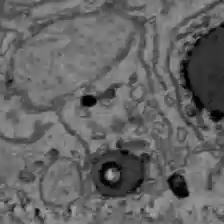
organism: C57BL Mouse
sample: Liver